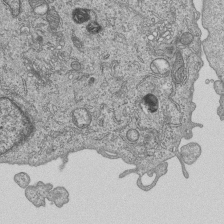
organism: Human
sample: MDA-MB-231 cells